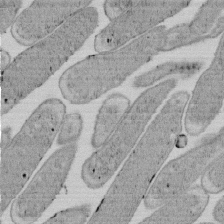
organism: E. coli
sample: Bacterial nucleoid